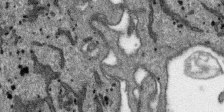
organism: Human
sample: Lung epithelial cells, uninfected (mock) control